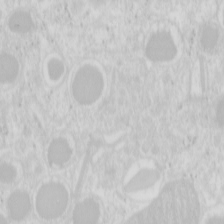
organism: Mouse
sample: Pancreas